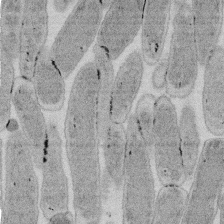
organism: E. coli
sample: Bacterial nucleoid